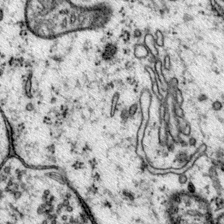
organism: Mouse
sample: Primary visual cortex